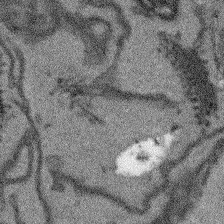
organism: Arabidopsis thaliana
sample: Root tip